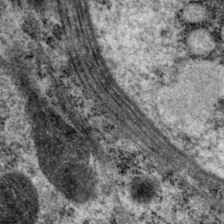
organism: P. pacificus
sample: Pharynx